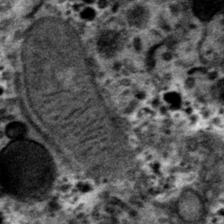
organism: Mouse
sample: Mouse hepatocytes